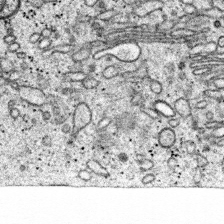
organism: Human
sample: HeLa cells